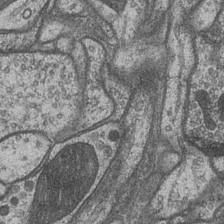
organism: Drosophila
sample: Optic medulla